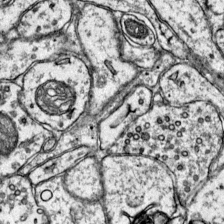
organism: Mouse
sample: Primary visual cortex